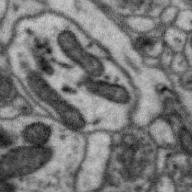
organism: Zebra finch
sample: Brain